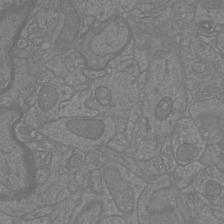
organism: Mouse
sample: Cortical neurons